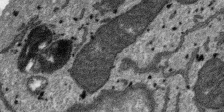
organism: Human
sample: Lung epithelial cells, uninfected (mock) control